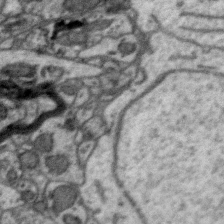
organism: Zebra finch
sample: Brain